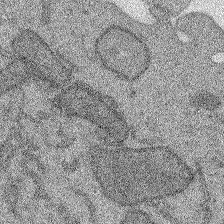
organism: Human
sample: HeLa cells